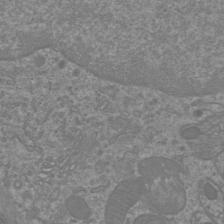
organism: Mouse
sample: Cortical neurons